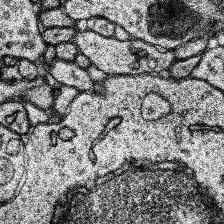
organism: Human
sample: Temporal Lobe